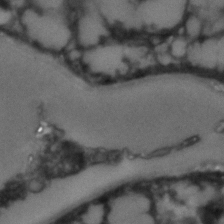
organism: C. elegans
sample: C. elegans embryo